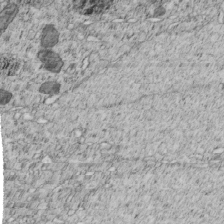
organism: C. elegans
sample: C. elegans embryo early stage